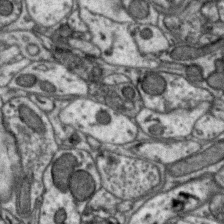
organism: Zebra finch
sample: Brain